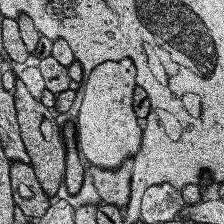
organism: Human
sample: Temporal Lobe